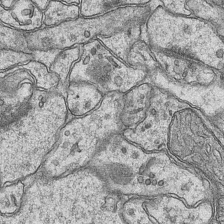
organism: Mouse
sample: CA1 Hippocampus